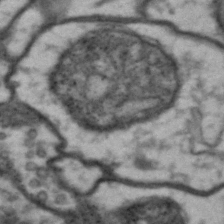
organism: Drosophila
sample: Brain